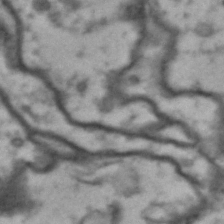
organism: Drosophila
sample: Brain